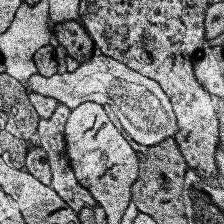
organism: Human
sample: Temporal Lobe